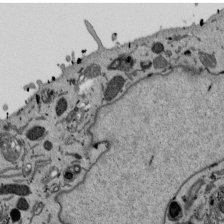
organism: Mouse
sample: ED-1 cell nuclei; centrioles